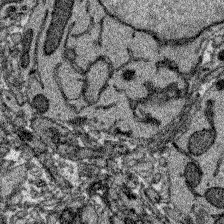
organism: Zebrafish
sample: Larval olfactory bulb